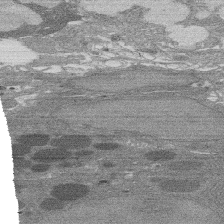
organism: Rat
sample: Salivary granule